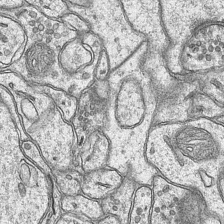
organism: Mouse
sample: CA1 Hippocampus